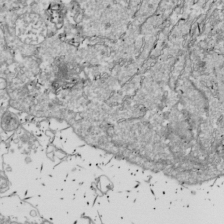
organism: Drosophila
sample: Cell division; meiosis; drosophila spermatocytes